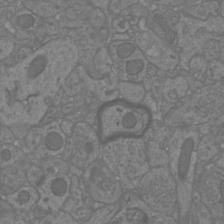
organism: Mouse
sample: Cortical neurons